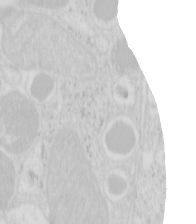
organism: Mouse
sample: Pancreas